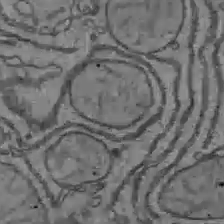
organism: C57BL Mouse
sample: Liver